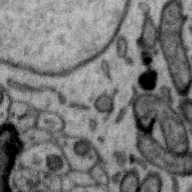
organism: Zebra finch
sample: Brain